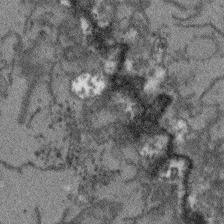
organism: Arabidopsis thaliana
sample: Root tip